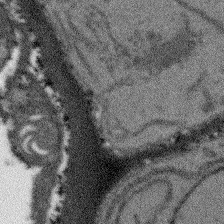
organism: Arabidopsis thaliana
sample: Root tip